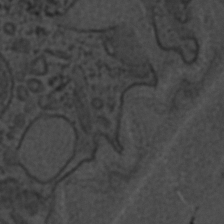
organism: C. elegans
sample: C. elegans embryo